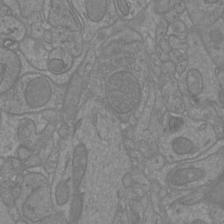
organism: Mouse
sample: Cortical neurons